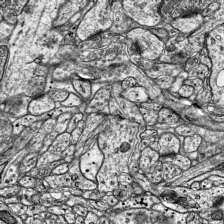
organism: Mouse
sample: Visual Cortex